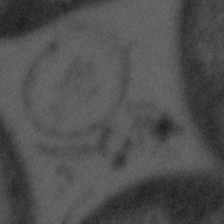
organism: Tuwongella immobilis